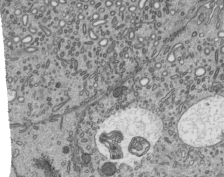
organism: Mouse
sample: Mouse epididymis efferent ductule cilia